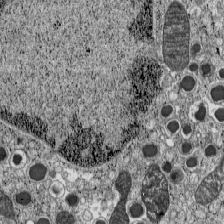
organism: C57BL Mouse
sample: Pancreatic islet